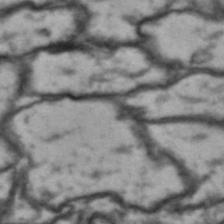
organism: Drosophila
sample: Brain